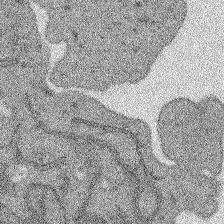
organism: Human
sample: HeLa cells